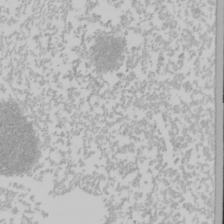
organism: Mouse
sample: Cancer cell death in ED-1 cells